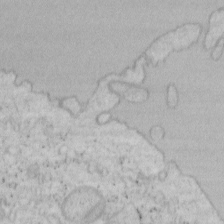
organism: Human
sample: HeLa cells